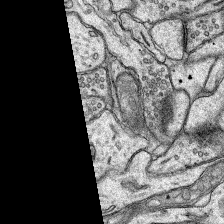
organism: Rat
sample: Hippocampus